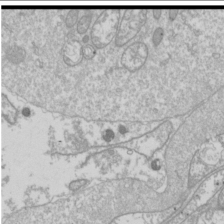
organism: Drosophila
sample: Cell division; meiosis; drosophila spermatocytes